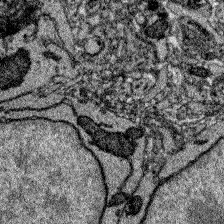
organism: Zebrafish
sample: Larval olfactory bulb